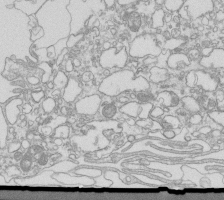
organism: Mouse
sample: Macrophages